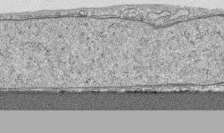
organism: Human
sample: CRL-1474